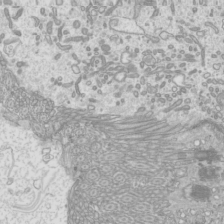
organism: Mouse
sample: Cilia; mouse epididymis